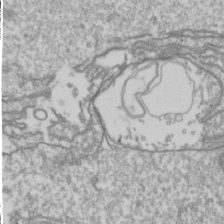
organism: Drosophila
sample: Cell division; meiosis; drosophila spermatocytes